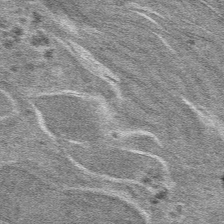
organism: Mouse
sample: Mouse hepatocytes